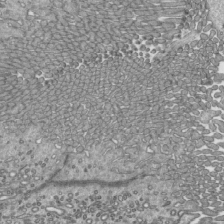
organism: Mouse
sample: Mouse epididymis efferent ductule cilia